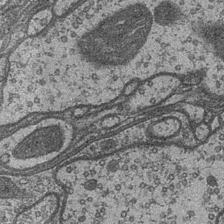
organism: Drosophila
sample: Optic medulla